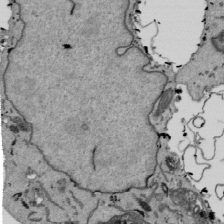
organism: Mouse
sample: ED-1 cell nuclei; centrioles